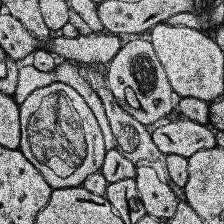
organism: Human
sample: Temporal Lobe